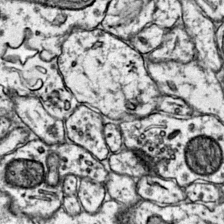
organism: Mouse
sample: Primary visual cortex